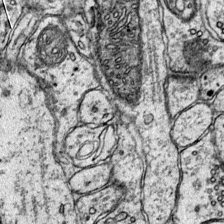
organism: Mouse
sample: Primary visual cortex